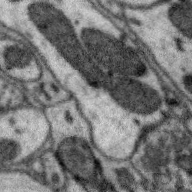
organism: Zebra finch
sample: Brain